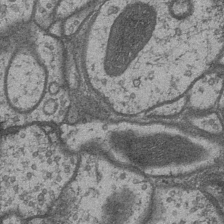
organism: Drosophila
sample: Optic medulla